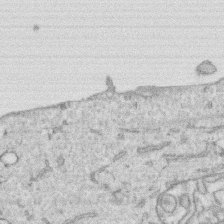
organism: Human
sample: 1205lu cells